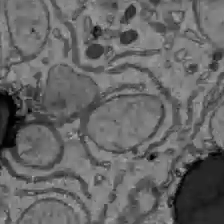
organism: C57BL Mouse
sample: Liver